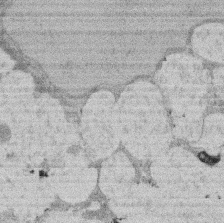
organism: Rat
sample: Salivary granule